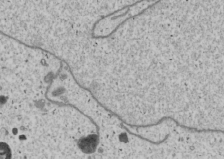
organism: Human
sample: Mitochondria in U2OS cells